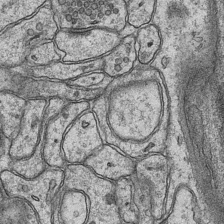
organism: Mouse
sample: CA1 Hippocampus